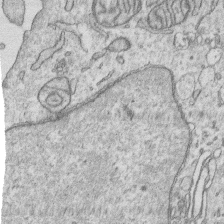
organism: Human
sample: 1205lu cells